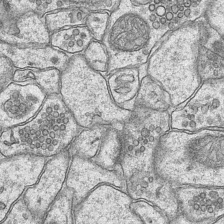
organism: Mouse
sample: CA1 Hippocampus